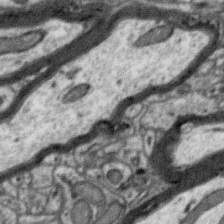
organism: Zebra finch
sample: Brain